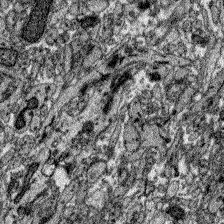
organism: Zebrafish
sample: Larval olfactory bulb